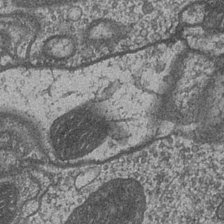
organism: Drosophila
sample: Optic medulla